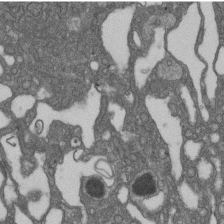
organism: Drosophila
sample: Nephrocyte